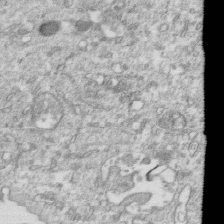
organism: Mouse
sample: Activated OT-1 CD8+ T cells